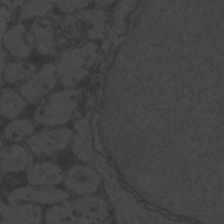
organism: Zebrafish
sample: Macrophage infected with Toxoplasma gondii